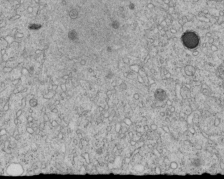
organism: C. elegans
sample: C. elegans embryo early stage